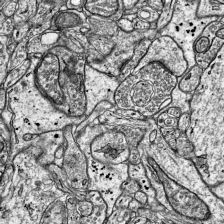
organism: Mouse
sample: Visual Cortex